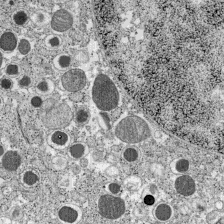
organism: C57BL Mouse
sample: Pancreatic islet